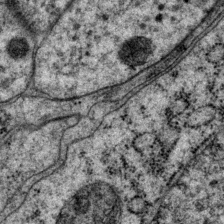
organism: P. pacificus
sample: Pharynx